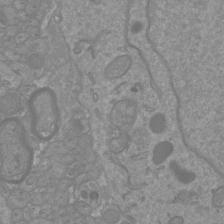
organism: Mouse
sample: Cortical neurons